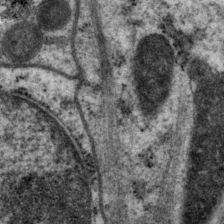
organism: P. pacificus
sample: Pharynx